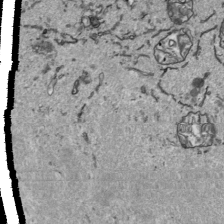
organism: Human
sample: Mitochondria in HCT116 cells